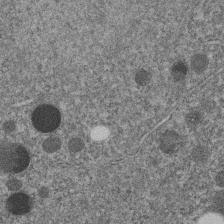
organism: C. elegans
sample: C. elegans embryo early stage